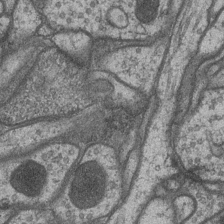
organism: Drosophila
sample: Optic medulla